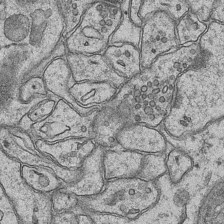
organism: Mouse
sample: CA1 Hippocampus